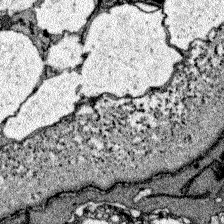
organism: Zebrafish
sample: Larval olfactory bulb